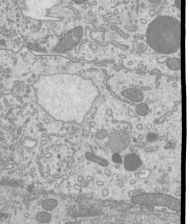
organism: Mouse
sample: Cilia; mouse epididymis